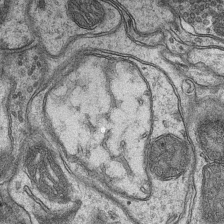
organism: Mouse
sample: CA1 Hippocampus